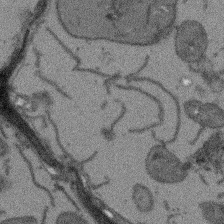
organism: Arabidopsis thaliana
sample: Root tip